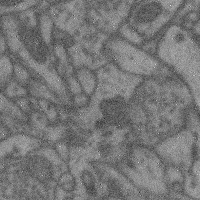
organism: Mouse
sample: Cerebral cortex